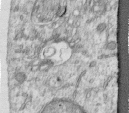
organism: Human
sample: Centriole in RPE cells